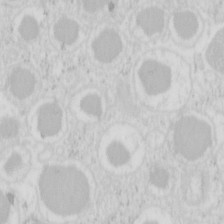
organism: Mouse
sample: Pancreas